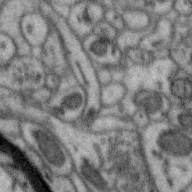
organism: Zebra finch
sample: Brain